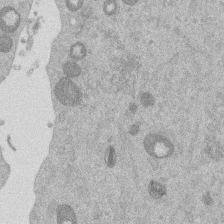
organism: Mouse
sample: Dividing mouse embryo 1 cell stage